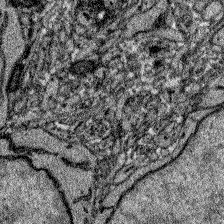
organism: Zebrafish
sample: Larval olfactory bulb